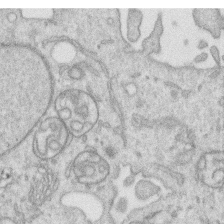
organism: Human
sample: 1205lu cells